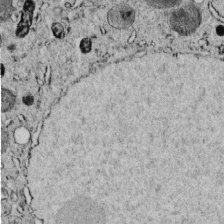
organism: C. elegans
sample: C. elegans embryo early stage